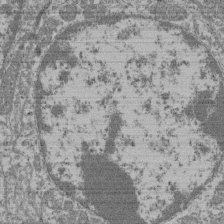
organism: Mouse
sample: Glomerulus